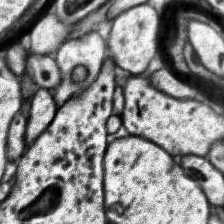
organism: Human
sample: Temporal Lobe